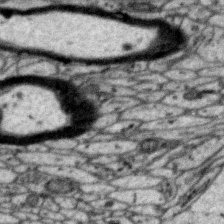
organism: Zebra finch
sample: Brain